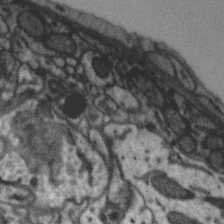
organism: Zebra finch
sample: Brain